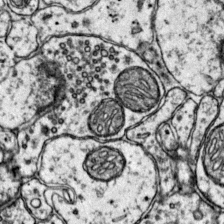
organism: Mouse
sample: Primary visual cortex